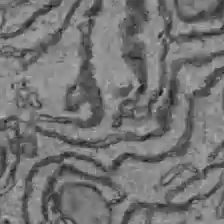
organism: C57BL Mouse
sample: Liver